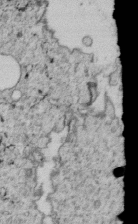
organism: C. elegans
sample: C. elegans embryo early stage